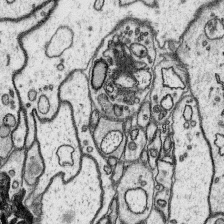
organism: Platynereis dumerilii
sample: Parapodia